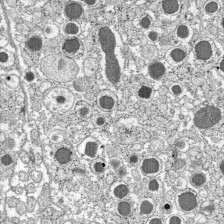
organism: C57BL Mouse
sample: Pancreatic islet